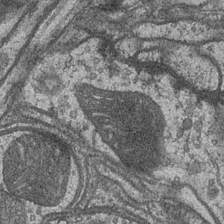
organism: Drosophila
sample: Optic medulla